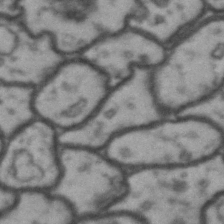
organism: Drosophila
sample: Brain